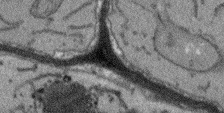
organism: Arabidopsis thaliana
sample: Root tip